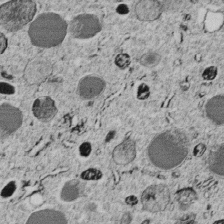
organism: C. elegans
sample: C. elegans embryo early stage